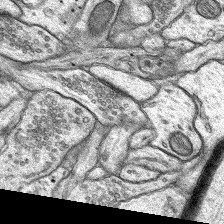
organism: Rat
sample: Hippocampus